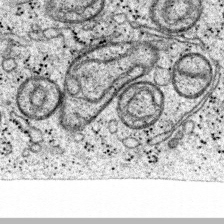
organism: Human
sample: HeLa cells